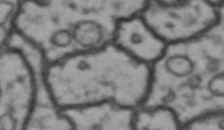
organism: Drosophila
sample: Brain